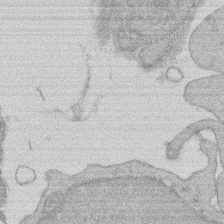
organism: Rat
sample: Salivary granule